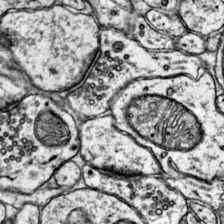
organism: Mouse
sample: Primary visual cortex